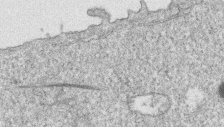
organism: Human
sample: HeLa cell HIV synapse